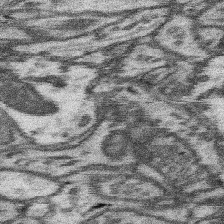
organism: Mouse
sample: Somatosensory cortex neuropil